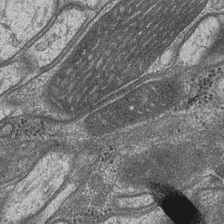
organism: Drosophila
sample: Optic medulla